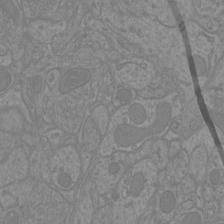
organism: Mouse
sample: Cortical neurons